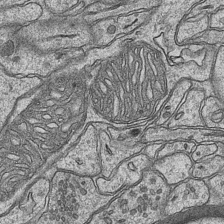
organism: Mouse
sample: CA1 Hippocampus